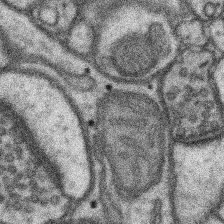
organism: Mouse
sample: Somatosensory cortex neuropil